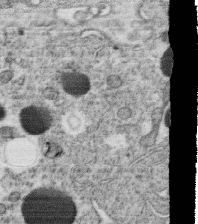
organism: C. elegans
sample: C. elegans oocyte; sperm cells